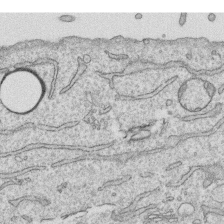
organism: Human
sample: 1205lu cells